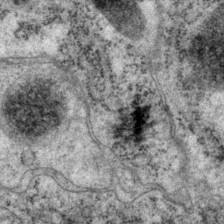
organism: P. pacificus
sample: Pharynx